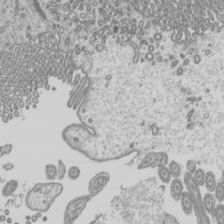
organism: Mouse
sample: Cilia; mouse epididymis